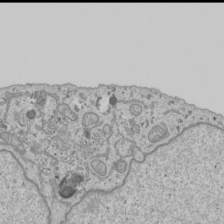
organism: Human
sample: Mitochondria in U2OS cells